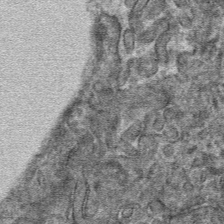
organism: Mouse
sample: Mouse hepatocytes